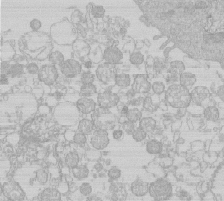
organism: Human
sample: Macrophage cells